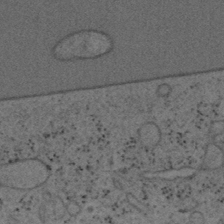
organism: Human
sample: HeLa cells